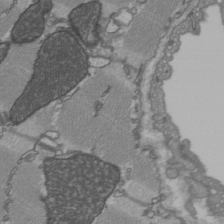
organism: C57BL Mouse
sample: Heart